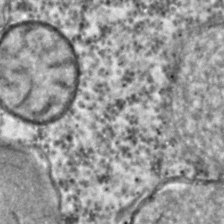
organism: C. elegans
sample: C. elegans embryo